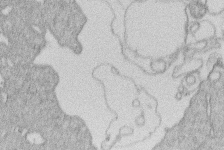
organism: Human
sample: Macrophage cells